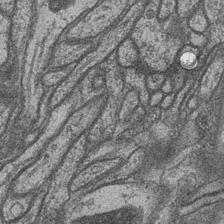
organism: Drosophila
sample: Optic medulla